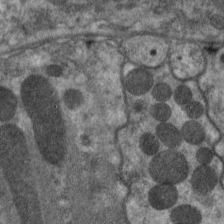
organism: C. elegans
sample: Pharynx